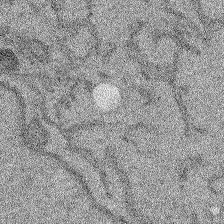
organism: Human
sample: HeLa cells